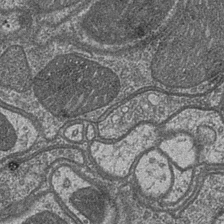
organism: Drosophila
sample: Optic medulla